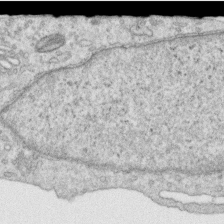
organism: Human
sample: Centriole in RPE cells